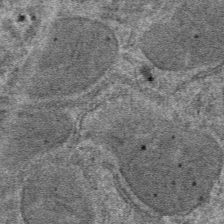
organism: Mouse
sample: Mouse hepatocytes